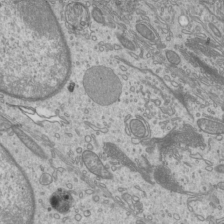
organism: Mouse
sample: Cilia; mouse epididymis